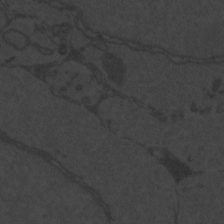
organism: Zebrafish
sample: Macrophage infected with Toxoplasma gondii